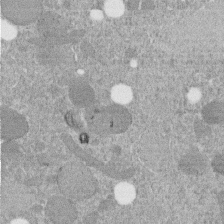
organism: C. elegans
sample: C. elegans embryo early stage